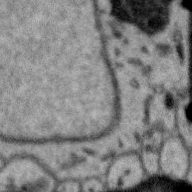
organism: Zebra finch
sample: Brain